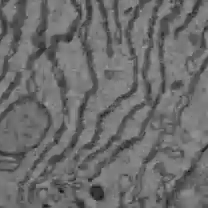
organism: C57BL Mouse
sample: Liver